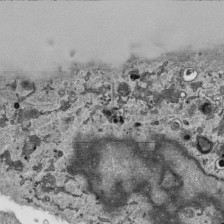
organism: Human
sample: Mitochondria in HCT116 cells